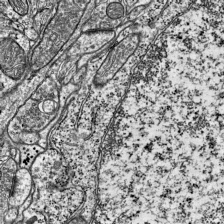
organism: Mouse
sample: Visual Cortex